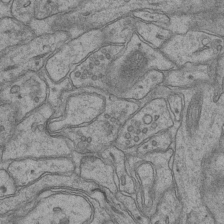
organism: Mouse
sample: CA1 Hippocampus